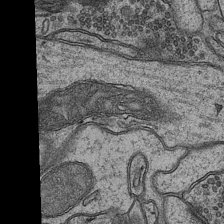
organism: Mouse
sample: CA1 Hippocampus